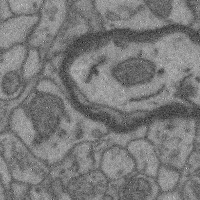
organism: Mouse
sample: Cerebral cortex